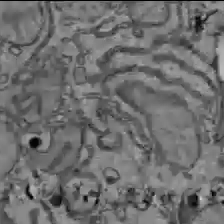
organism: C57BL Mouse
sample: Liver